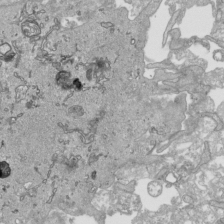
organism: Human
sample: Mitochondria in HCT116 cells